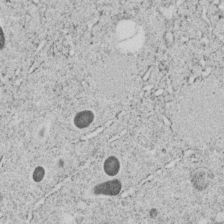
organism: C. elegans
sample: C. elegans embryo early stage